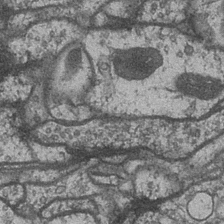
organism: Drosophila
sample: Optic medulla